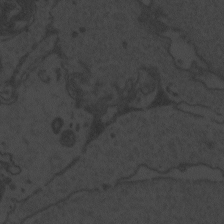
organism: Zebrafish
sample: Macrophage infected with Toxoplasma gondii